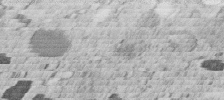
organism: C. elegans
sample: C. elegans embryo early stage